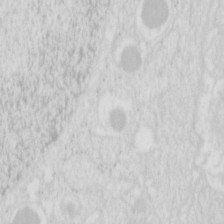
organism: Mouse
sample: Pancreas